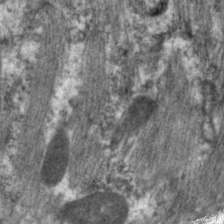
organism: C. elegans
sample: Pharynx